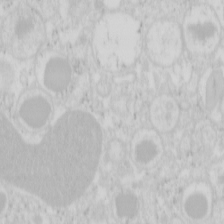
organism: Mouse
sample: Pancreas